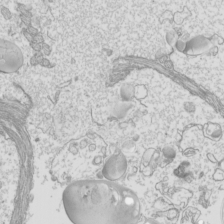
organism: Mouse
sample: Cilia; mouse epididymis